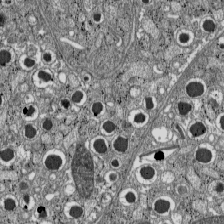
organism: C57BL Mouse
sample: Pancreatic islet